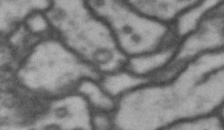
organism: Drosophila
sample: Brain